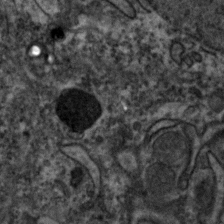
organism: Zebrafish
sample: Zebrafish embryo